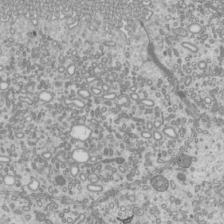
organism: Mouse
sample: Cilia; mouse epididymis